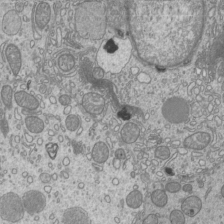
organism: Mouse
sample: Cilia; mouse epididymis